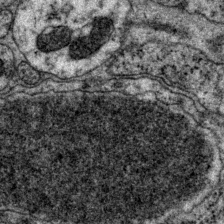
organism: P. pacificus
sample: Pharynx